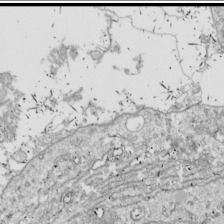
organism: Drosophila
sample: Cell division; meiosis; drosophila spermatocytes